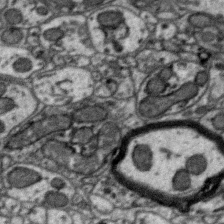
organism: Zebra finch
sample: Brain